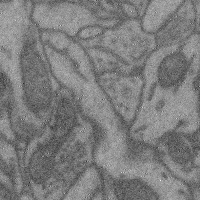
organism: Mouse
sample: Cerebral cortex